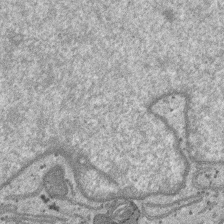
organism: Human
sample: Lung epithelial cells infected with SARS-CoV-2